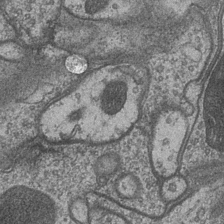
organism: Drosophila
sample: Optic medulla